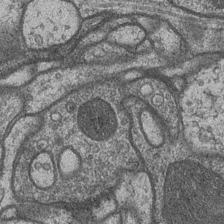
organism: Drosophila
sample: Optic medulla